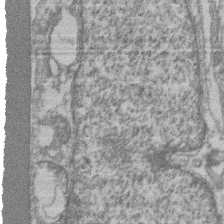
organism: Mouse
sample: T cell stromal cell synapse